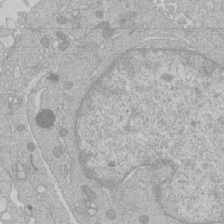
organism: Human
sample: Macrophage cells